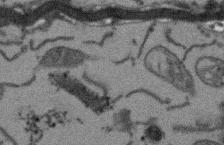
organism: Arabidopsis thaliana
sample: Root tip